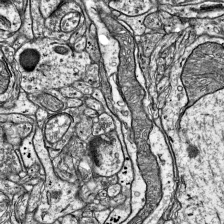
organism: Mouse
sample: Visual Cortex